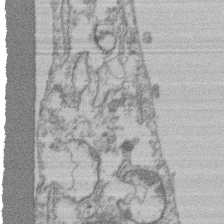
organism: Mouse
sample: T cell stromal cell synapse